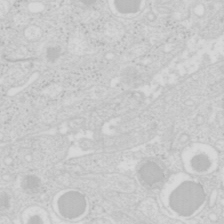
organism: Mouse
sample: Pancreas